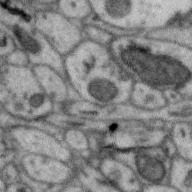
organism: Zebra finch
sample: Brain